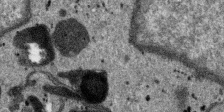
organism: Human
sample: Lung epithelial cells, uninfected (mock) control